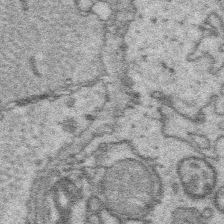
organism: Platynereis dumerilii